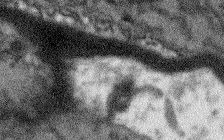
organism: Arabidopsis thaliana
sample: Root tip